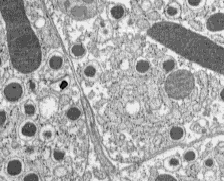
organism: C57BL Mouse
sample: Pancreatic islet